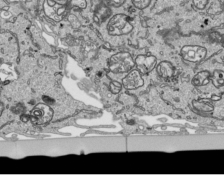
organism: Human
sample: Mitochondria in HCT116 cells